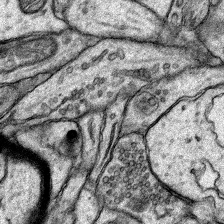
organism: Rat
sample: Hippocampus